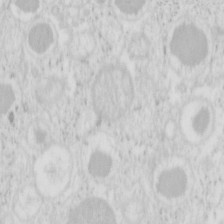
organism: Mouse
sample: Pancreas